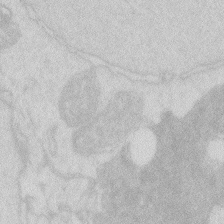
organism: Zebrafish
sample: Macrophage